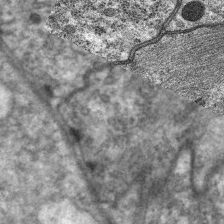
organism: C. elegans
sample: Pharynx